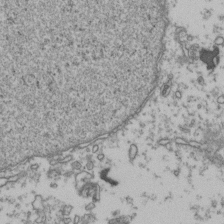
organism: Human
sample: Activated Jurkat CD4+ T cells